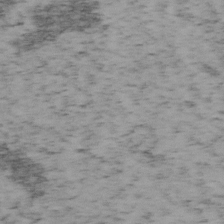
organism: Mouse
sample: OT-I killer T cells with ID8 ovarian cancer cells